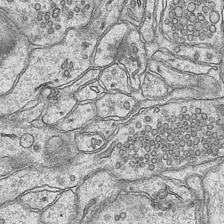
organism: Mouse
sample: CA1 Hippocampus